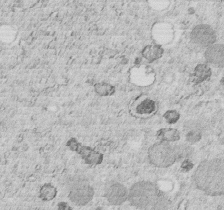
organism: C. elegans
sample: C. elegans embryo early stage